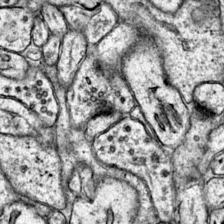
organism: Mouse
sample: Primary visual cortex